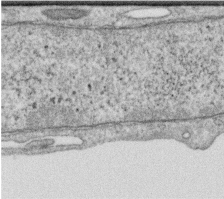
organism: Human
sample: Centriole in RPE cells